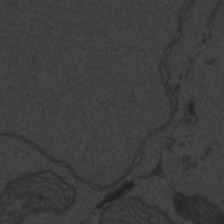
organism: Zebrafish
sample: Macrophage infected with Toxoplasma gondii